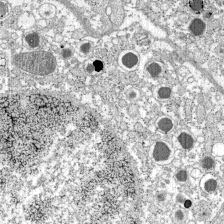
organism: C57BL Mouse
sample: Pancreatic islet